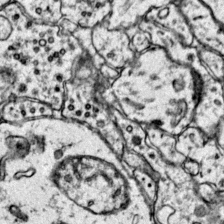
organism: Mouse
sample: Primary visual cortex